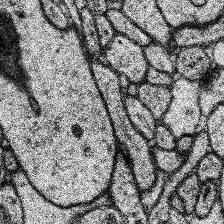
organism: Human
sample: Temporal Lobe